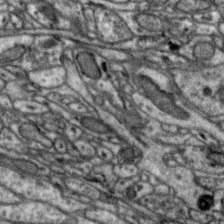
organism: Zebra finch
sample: Brain